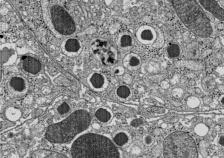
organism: C57BL Mouse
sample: Pancreatic islet